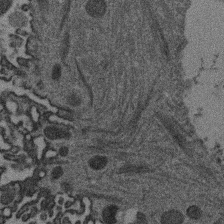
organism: Mouse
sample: Dividing mouse embryo 1 cell stage